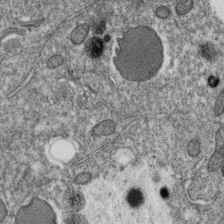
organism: C. elegans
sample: C. elegans oocyte; sperm cells